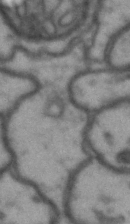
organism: Drosophila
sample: Brain